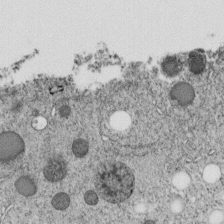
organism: C. elegans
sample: C. elegans embryo early stage